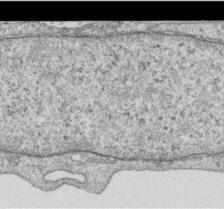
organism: Human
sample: Centriole in RPE cells